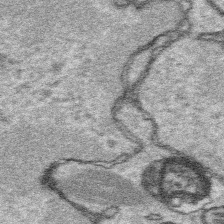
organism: Platynereis dumerilii